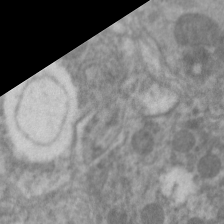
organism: C. elegans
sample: Pharynx